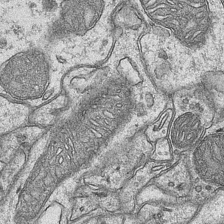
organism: Mouse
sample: CA1 Hippocampus